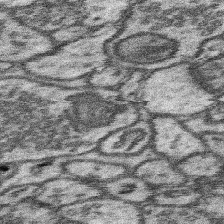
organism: Mouse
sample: Somatosensory cortex neuropil